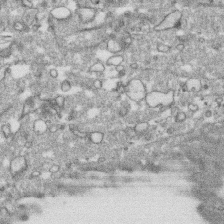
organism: Human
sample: CRL-1474